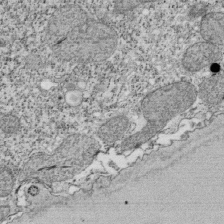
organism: Tetrahymena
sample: Cilia in tetrahymena